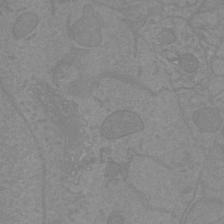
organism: Mouse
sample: Cortical neurons